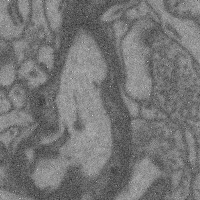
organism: Mouse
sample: Cerebral cortex